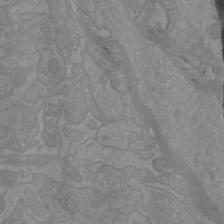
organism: Mouse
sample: Cortical neurons